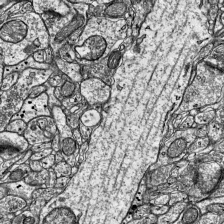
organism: Mouse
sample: Visual Cortex